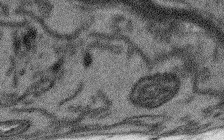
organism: Arabidopsis thaliana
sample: Root tip